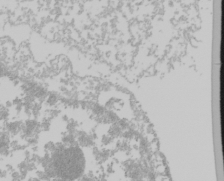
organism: Mouse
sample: Cancer cell death in ED-1 cells